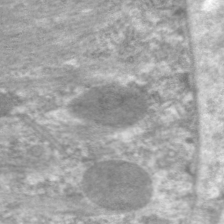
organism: C. elegans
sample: Pharynx